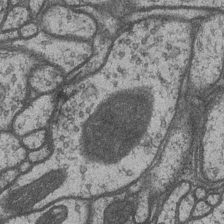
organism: Drosophila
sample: Optic medulla